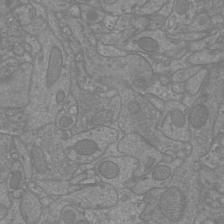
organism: Mouse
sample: Cortical neurons